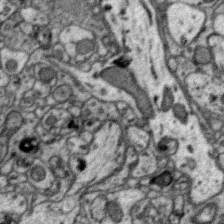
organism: Zebra finch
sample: Brain